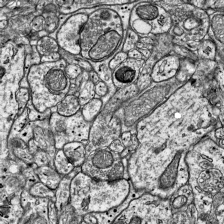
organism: Mouse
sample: Visual Cortex